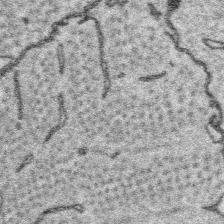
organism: Platynereis dumerilii